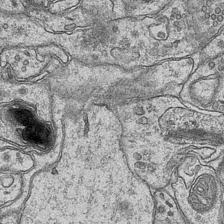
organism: Mouse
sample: CA1 Hippocampus